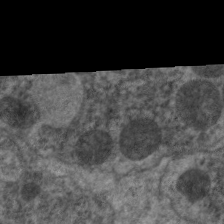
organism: C. elegans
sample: Pharynx